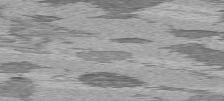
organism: C57BL Mouse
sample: Heart